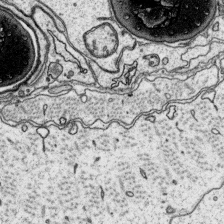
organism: Platynereis dumerilii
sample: Parapodia